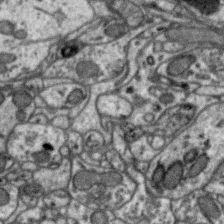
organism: Zebra finch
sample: Brain